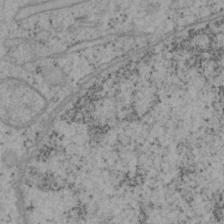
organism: Human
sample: HeLa cells